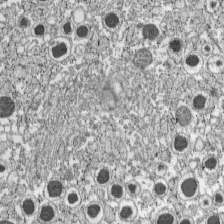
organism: C57BL Mouse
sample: Pancreatic islet